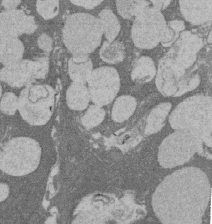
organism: Rat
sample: Salivary granule